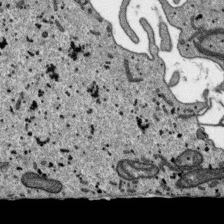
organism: Human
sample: Lung epithelial cells, uninfected (mock) control